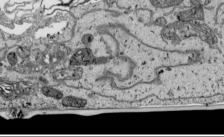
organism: Human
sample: Mitochondria in HCT116 cells